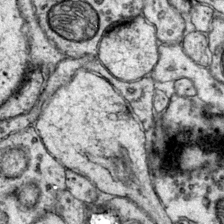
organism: Mouse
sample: Primary visual cortex